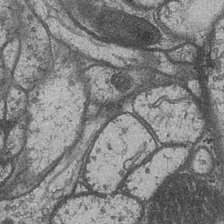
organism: Drosophila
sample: Optic medulla